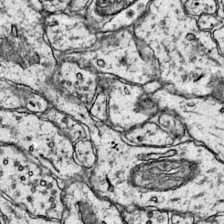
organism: Mouse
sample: Primary visual cortex